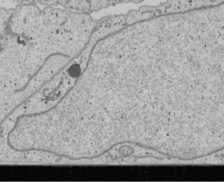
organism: Human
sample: Mitochondria in U2OS cells